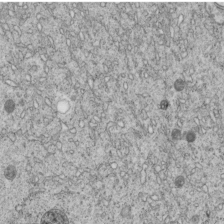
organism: C. elegans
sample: C. elegans embryo early stage